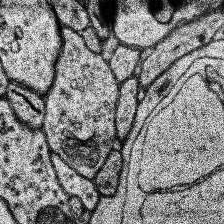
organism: Human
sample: Temporal Lobe